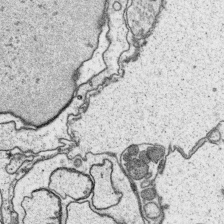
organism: Platynereis dumerilii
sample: Parapodia